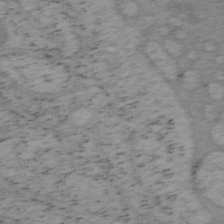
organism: Mouse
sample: OT-I killer T cells with ID8 ovarian cancer cells